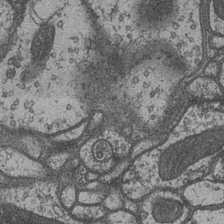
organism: Drosophila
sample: Optic medulla